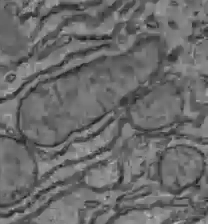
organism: C57BL Mouse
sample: Liver